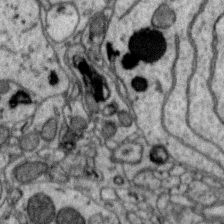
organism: Zebra finch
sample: Brain